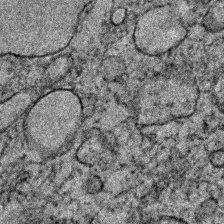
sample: Trachea